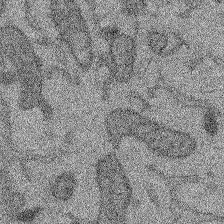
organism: Human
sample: HeLa cells